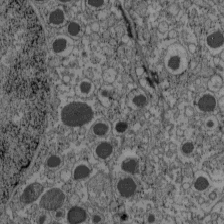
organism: C57BL Mouse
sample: Pancreatic islet